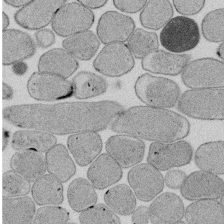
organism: E. coli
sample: Bacterial nucleoid